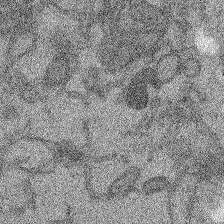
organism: Human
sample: HeLa cells